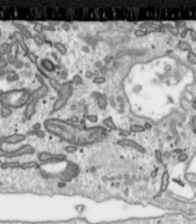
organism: Toxoplasma gondii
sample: Parasites in a vacuole inside a host cell